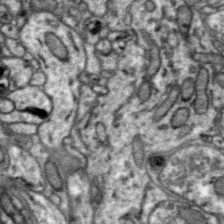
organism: Zebra finch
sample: Brain